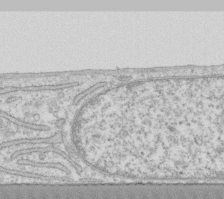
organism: Human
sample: Fibroblast cells